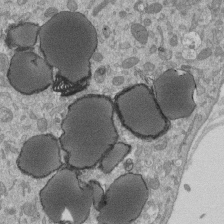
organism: Mouse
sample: ED-1 cell nuclei; centrioles